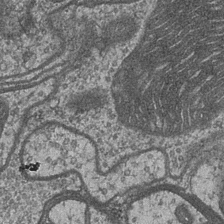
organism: Drosophila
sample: Optic medulla